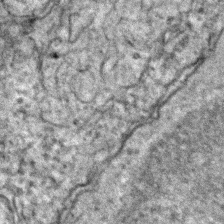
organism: Zebrafish